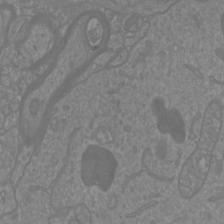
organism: Mouse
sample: Cortical neurons